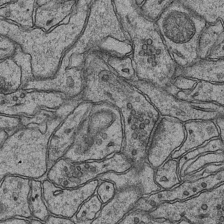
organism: Mouse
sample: CA1 Hippocampus